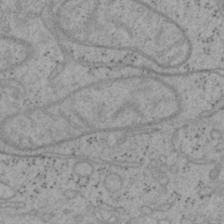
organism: Human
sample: HeLa cells